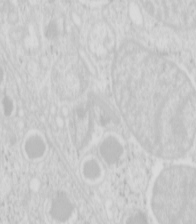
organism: Mouse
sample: Pancreas